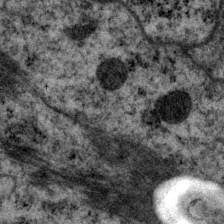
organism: P. pacificus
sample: Pharynx